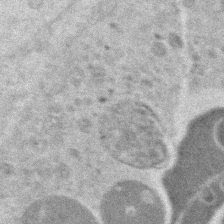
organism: Zebrafish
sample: Zebrafish embryo